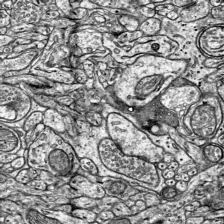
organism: Mouse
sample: Visual Cortex